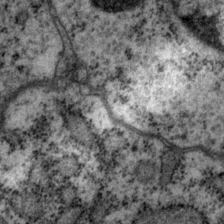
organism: P. pacificus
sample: Pharynx